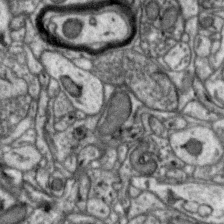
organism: Zebra finch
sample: Brain